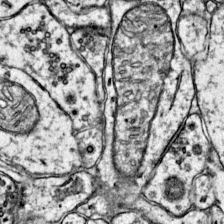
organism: Mouse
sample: Primary visual cortex